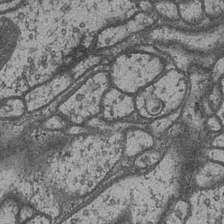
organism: Drosophila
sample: Optic medulla